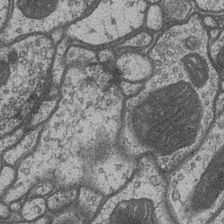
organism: Drosophila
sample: Optic medulla